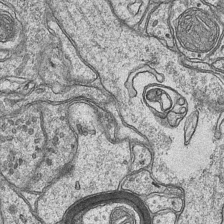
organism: Mouse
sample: CA1 Hippocampus